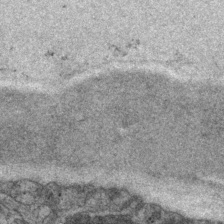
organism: P. pacificus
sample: Pharynx